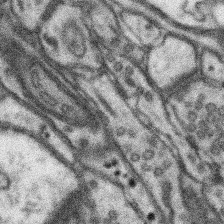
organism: Mouse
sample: Somatosensory cortex neuropil